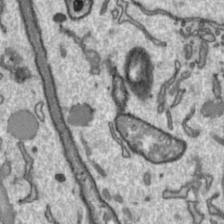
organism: Toxoplasma gondii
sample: Parasites in a vacuole inside a host cell